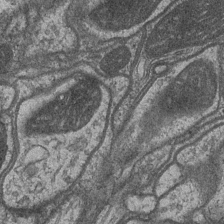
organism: Drosophila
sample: Optic medulla